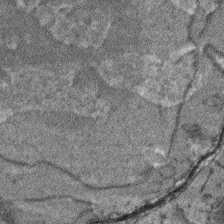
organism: Arabidopsis thaliana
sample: Root tip